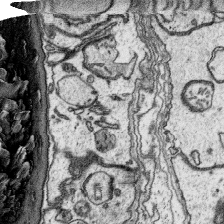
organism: Platynereis dumerilii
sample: Parapodia